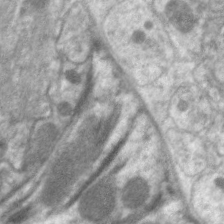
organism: C. elegans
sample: Pharynx